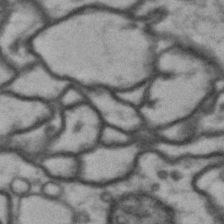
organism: Drosophila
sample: Brain